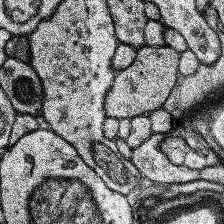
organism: Human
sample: Temporal Lobe